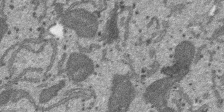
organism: Human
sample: Lung epithelial cells infected with SARS-CoV-2